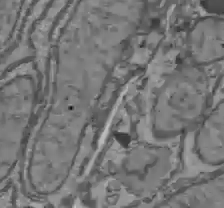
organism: C57BL Mouse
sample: Liver